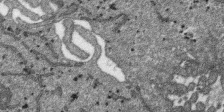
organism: Human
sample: Lung epithelial cells infected with SARS-CoV-2